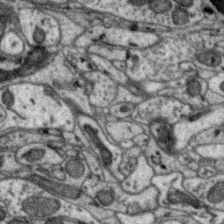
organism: Zebra finch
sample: Brain